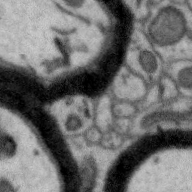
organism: Zebra finch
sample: Brain